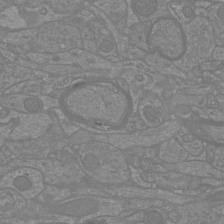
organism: Mouse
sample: Cortical neurons